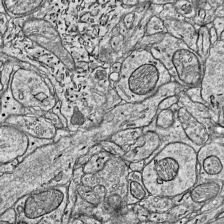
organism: Mouse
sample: Visual Cortex